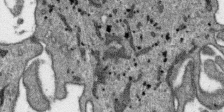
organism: Human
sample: Lung epithelial cells, uninfected (mock) control